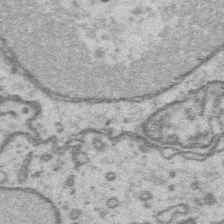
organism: Platynereis dumerilii